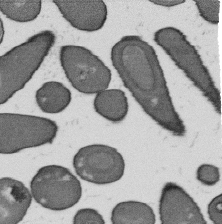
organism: B. subtilis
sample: Bacterial spore